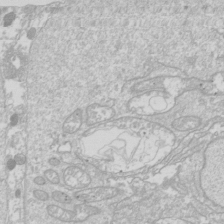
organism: Drosophila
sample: Cell division; meiosis; drosophila spermatocytes